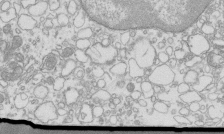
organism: Mouse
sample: Macrophages